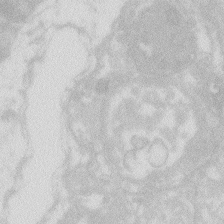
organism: Zebrafish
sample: Macrophage